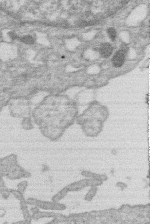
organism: Human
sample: Macrophage cells